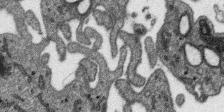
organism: Human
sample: Lung epithelial cells infected with SARS-CoV-2